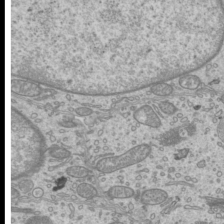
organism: Mouse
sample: Cilia; mouse epididymis